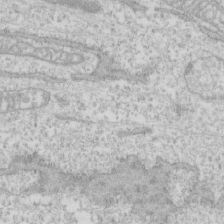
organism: Human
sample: CRL-1474